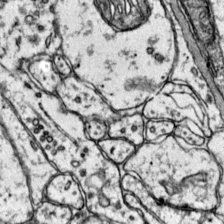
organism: Mouse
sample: Primary visual cortex